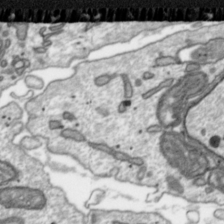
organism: Toxoplasma gondii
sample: Parasites in a vacuole inside a host cell